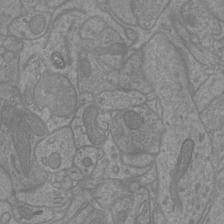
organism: Mouse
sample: Cortical neurons